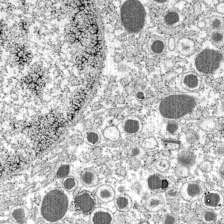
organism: C57BL Mouse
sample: Pancreatic islet